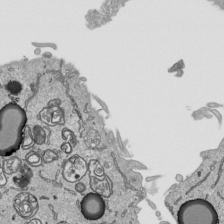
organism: Human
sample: Mitochondria in HCT116 cells